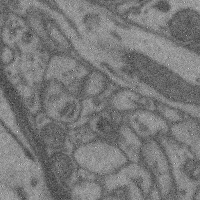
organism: Mouse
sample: Cerebral cortex